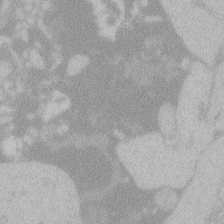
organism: Zebrafish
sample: Macrophage infected with Toxoplasma gondii